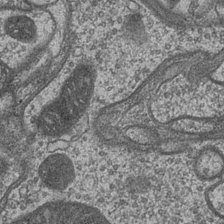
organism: Drosophila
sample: Optic medulla